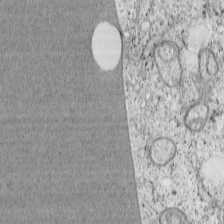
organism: African green monkey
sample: COS-7 cells